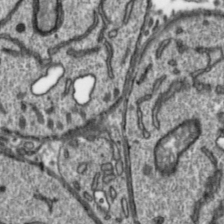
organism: Toxoplasma gondii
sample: Parasites in a vacuole inside a host cell